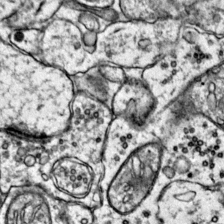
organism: Mouse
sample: Primary visual cortex